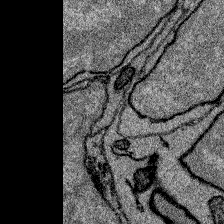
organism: Zebrafish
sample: Larval olfactory bulb